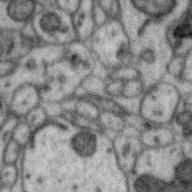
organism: Zebra finch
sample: Brain